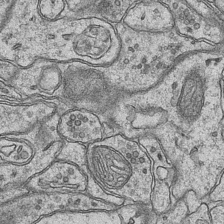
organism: Mouse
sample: CA1 Hippocampus